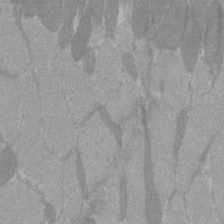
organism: C57BL Mouse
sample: Tibialis anterior muscle cell